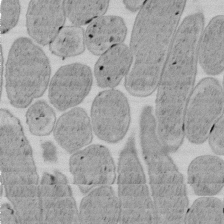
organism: E. coli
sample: Bacterial nucleoid